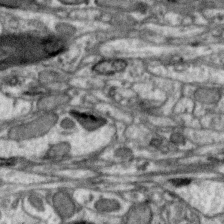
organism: Zebra finch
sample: Brain